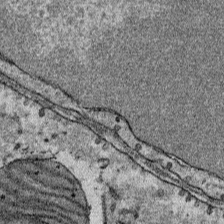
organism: Mouse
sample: Mouse Salivary gland